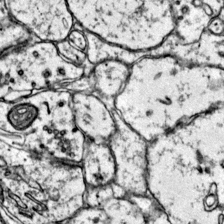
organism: Mouse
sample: Primary visual cortex